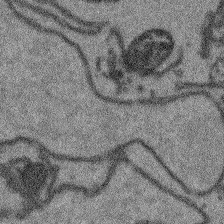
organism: Arabidopsis thaliana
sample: Root tip